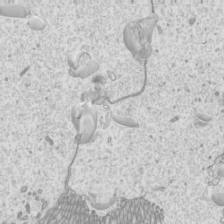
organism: Mouse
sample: Cilia; mouse epididymis